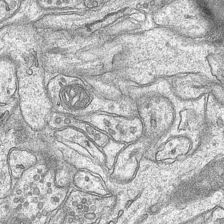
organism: Mouse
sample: CA1 Hippocampus